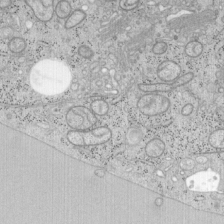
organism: Mouse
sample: OT-I killer T cells with ID8 ovarian cancer cells